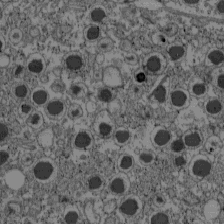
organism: C57BL Mouse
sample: Pancreatic islet